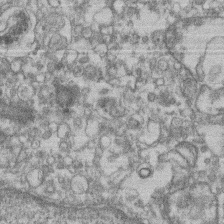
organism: Mouse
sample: T cell stromal cell synapse